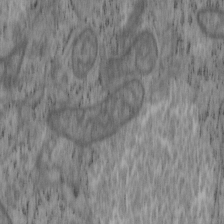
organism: Human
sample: HeLa cells